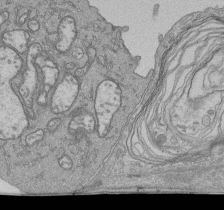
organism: Human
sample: Retinal organoid Rod and Cone cells